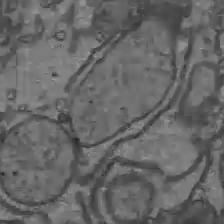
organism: C57BL Mouse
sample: Liver